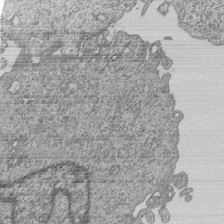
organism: Human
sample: MDA-MB-231 cells